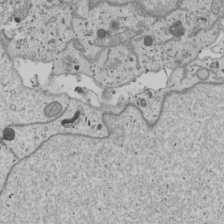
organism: Human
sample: Mitochondria in U2OS cells